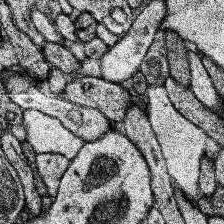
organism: Human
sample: Temporal Lobe